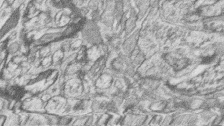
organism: Zebrafish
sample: synaptic ribbons in rod cells and cone cells